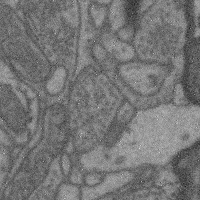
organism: Mouse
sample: Cerebral cortex